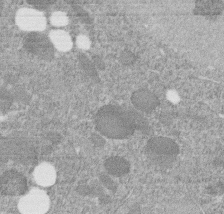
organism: C. elegans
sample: C. elegans embryo early stage